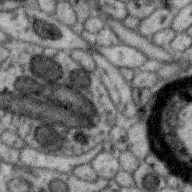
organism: Zebra finch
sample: Brain